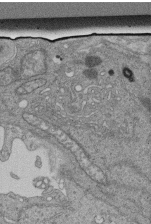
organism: Human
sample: Retinal organoid Rod and Cone cells